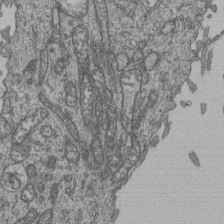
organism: Human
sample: Retinal organoid Rod and Cone cells